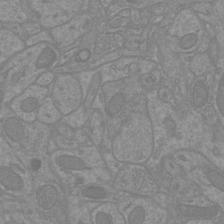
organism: Mouse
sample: Cortical neurons